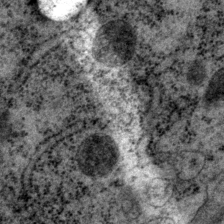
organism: P. pacificus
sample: Pharynx